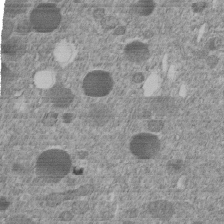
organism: C. elegans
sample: C. elegans embryo early stage